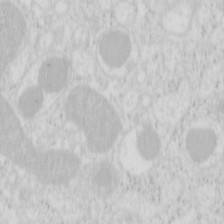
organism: Mouse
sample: Pancreas